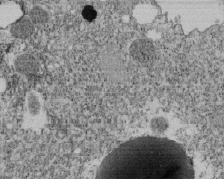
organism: Tetrahymena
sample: Cilia in tetrahymena